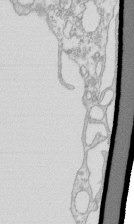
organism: Mouse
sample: Macrophages